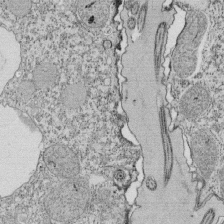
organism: Tetrahymena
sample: Cilia in tetrahymena